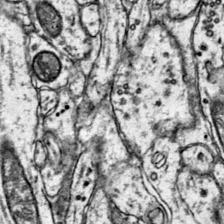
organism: Mouse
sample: Primary visual cortex